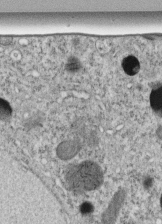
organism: C. elegans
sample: C. elegans embryo early stage